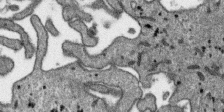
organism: Human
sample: Lung epithelial cells, uninfected (mock) control